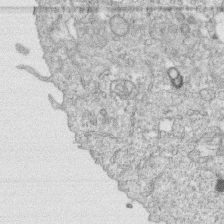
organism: Human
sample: HeLa cell HIV synapse